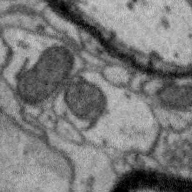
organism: Zebra finch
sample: Brain